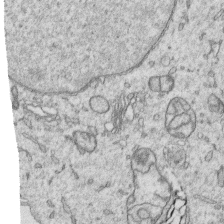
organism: Human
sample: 1205lu cells